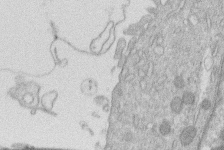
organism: Human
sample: Macrophage cells